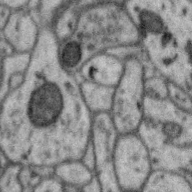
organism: Zebra finch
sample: Brain